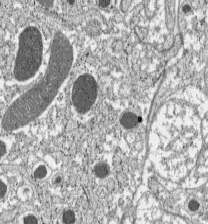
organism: C57BL Mouse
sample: Pancreatic islet